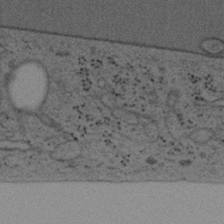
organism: Human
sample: HeLa cells